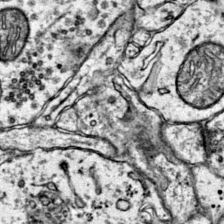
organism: Mouse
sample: Primary visual cortex